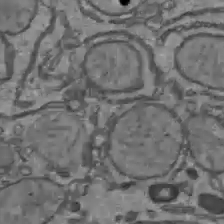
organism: C57BL Mouse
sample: Liver